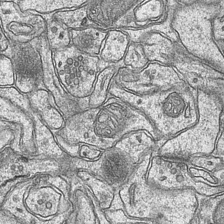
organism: Mouse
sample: CA1 Hippocampus